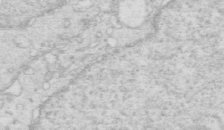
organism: Mouse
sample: Multiciliated cells